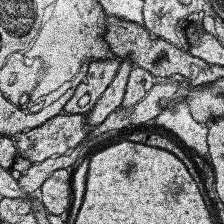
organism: Human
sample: Temporal Lobe